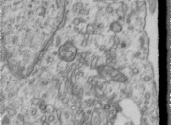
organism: Human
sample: Centriole in RPE cells